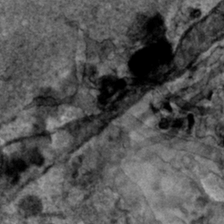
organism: Human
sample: Mitochondria in HCT116 cells